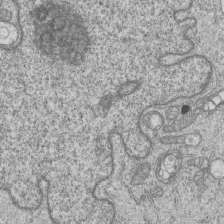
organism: Human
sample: MDA-MB-231 cells